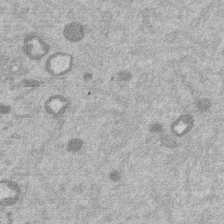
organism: Mouse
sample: Dividing mouse embryo 1 cell stage